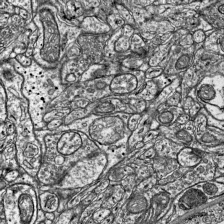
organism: Mouse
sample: Visual Cortex